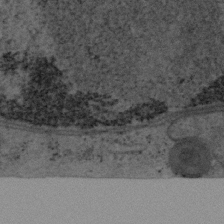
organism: Human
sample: HeLa cells